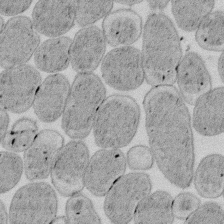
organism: E. coli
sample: Bacterial nucleoid